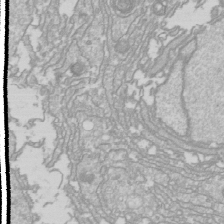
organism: Drosophila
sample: Cell division; meiosis; drosophila spermatocytes